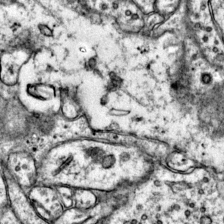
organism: Mouse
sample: Primary visual cortex